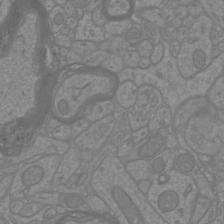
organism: Mouse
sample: Cortical neurons